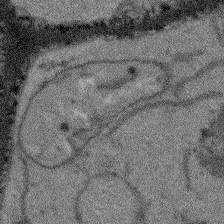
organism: Arabidopsis thaliana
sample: Root tip